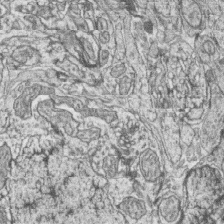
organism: Zebrafish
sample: synaptic ribbons in rod cells and cone cells